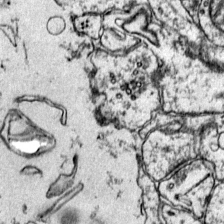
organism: Mouse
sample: Primary visual cortex